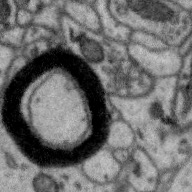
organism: Zebra finch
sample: Brain